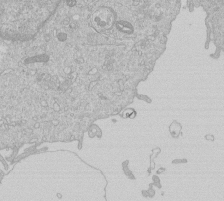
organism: Human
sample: Macrophage cells